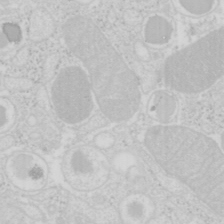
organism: Mouse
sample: Pancreas